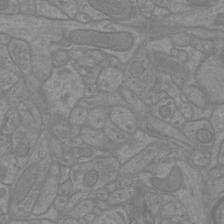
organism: Mouse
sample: Cortical neurons